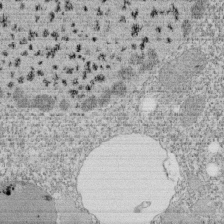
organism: Tetrahymena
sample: Cilia in tetrahymena